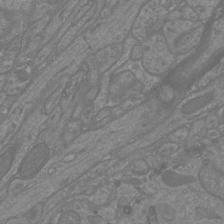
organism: Mouse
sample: Cortical neurons